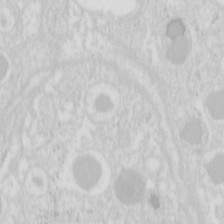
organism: Mouse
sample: Pancreas